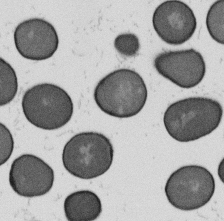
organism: B. subtilis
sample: Bacterial spore